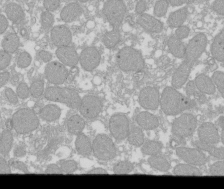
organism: Xenopus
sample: Cilia; centrioles in frog embryo cells